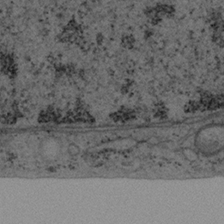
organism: Human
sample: HeLa cells